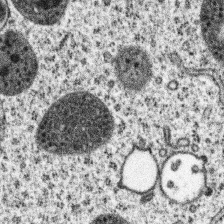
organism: Human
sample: HeLa cells